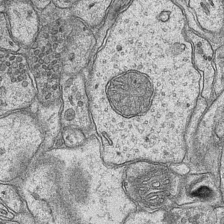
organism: Mouse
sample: CA1 Hippocampus